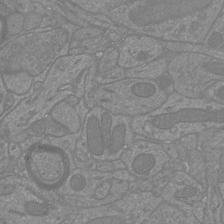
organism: Mouse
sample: Cortical neurons